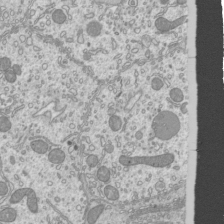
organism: Mouse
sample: Cilia; mouse epididymis